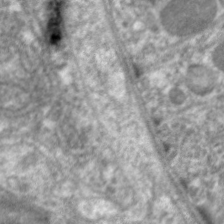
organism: C. elegans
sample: Pharynx